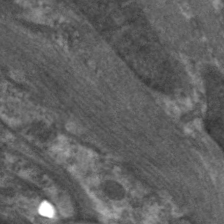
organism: C. elegans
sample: Pharynx